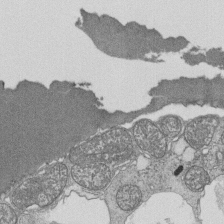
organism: Tetrahymena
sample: Cilia in tetrahymena